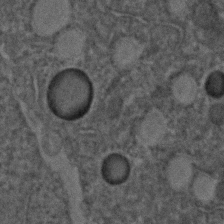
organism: C. elegans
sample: C. elegans embryo